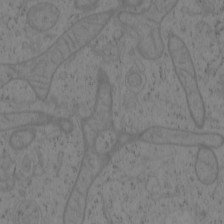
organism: Human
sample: HeLa cells